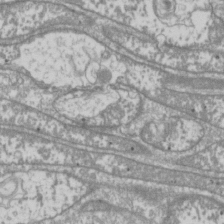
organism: Drosophila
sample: Cell division; meiosis; drosophila spermatocytes